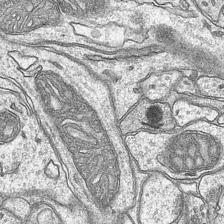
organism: Mouse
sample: CA1 Hippocampus